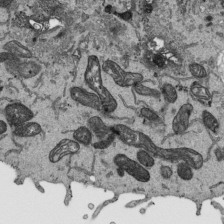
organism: Human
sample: Mitochondria in HCT116 cells